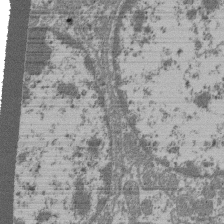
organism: Mouse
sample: Glomerulus